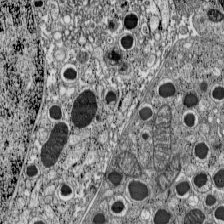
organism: C57BL Mouse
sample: Pancreatic islet